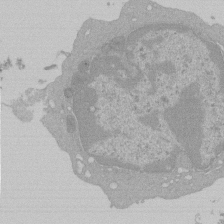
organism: Mouse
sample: Activated Pmel transgenic CD8+ T Cells